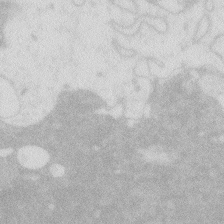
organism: Zebrafish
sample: Macrophage